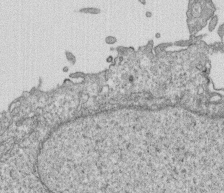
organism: Human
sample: HeLa cell HIV synapse